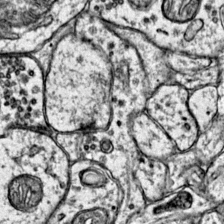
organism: Mouse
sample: Primary visual cortex